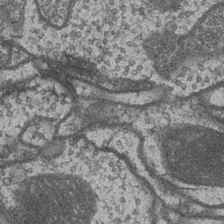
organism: Drosophila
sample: Optic medulla